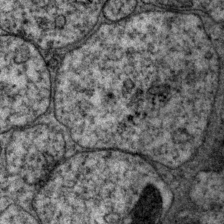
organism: P. pacificus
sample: Pharynx